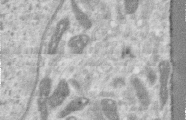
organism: Human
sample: Centriole in RPE cells